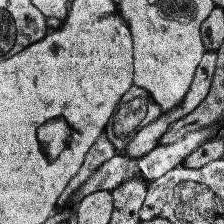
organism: Human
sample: Temporal Lobe